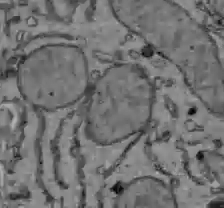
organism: C57BL Mouse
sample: Liver